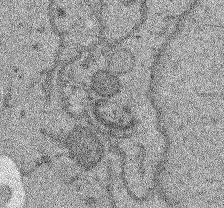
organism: Human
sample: HeLa cells